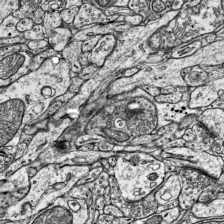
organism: Mouse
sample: Visual Cortex